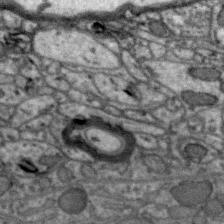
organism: Zebra finch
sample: Brain